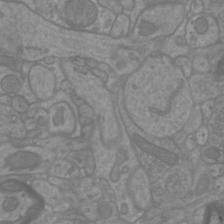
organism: Mouse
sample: Cortical neurons